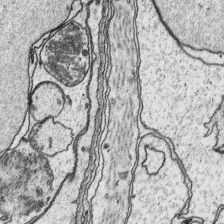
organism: Platynereis dumerilii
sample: Parapodia